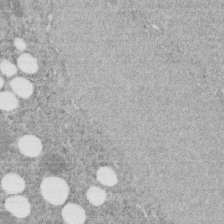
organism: C. elegans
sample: C. elegans embryo early stage